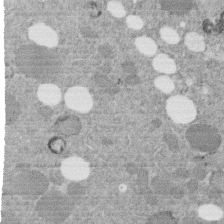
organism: C. elegans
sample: C. elegans embryo early stage